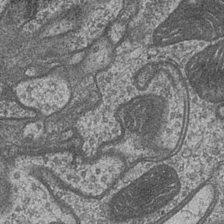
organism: Drosophila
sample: Optic medulla